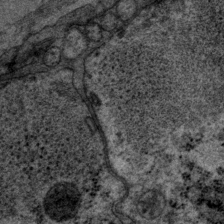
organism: P. pacificus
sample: Pharynx